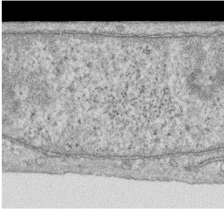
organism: Human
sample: Centriole in RPE cells